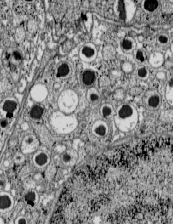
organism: C57BL Mouse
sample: Pancreatic islet